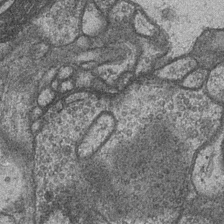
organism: Drosophila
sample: Optic medulla